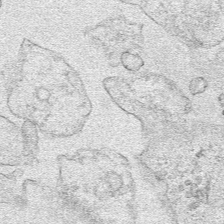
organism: Human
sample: Mitochondria in HCT116 cells